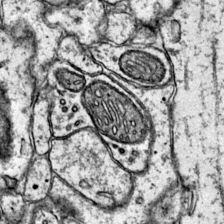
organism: Mouse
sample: Primary visual cortex